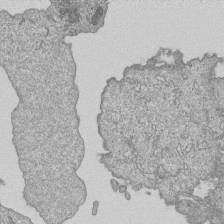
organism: Human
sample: MDA-MB-231 cells